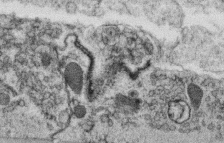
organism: C. elegans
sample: C. elegans oocyte; sperm cells